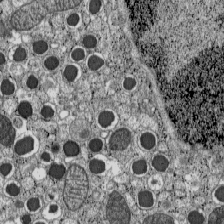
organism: C57BL Mouse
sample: Pancreatic islet